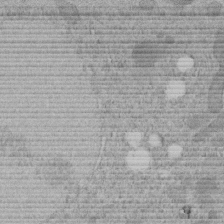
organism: C. elegans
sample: C. elegans embryo early stage